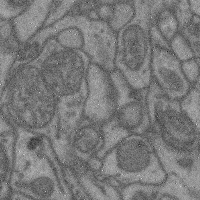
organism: Mouse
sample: Cerebral cortex